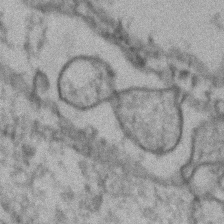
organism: Zebrafish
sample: Zebrafish embryo